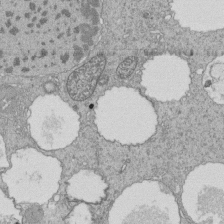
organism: Tetrahymena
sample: Cilia in tetrahymena